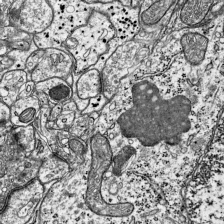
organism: Mouse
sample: Visual Cortex